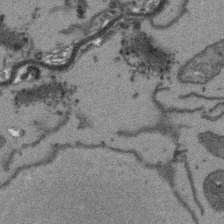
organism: Arabidopsis thaliana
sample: Root tip